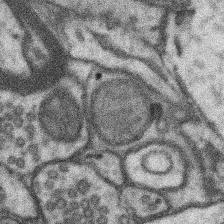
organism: Mouse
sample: Somatosensory cortex neuropil